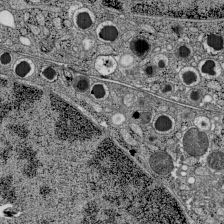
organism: C57BL Mouse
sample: Pancreatic islet